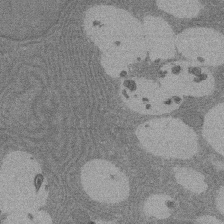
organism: Rat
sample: Salivary granule